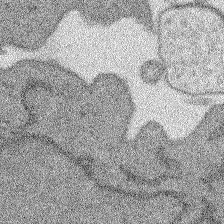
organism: Human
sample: HeLa cells